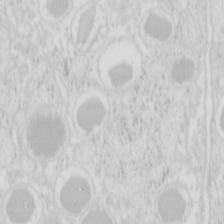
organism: Mouse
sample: Pancreas